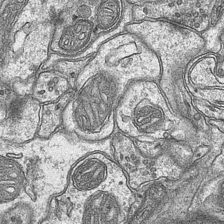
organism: Mouse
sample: CA1 Hippocampus